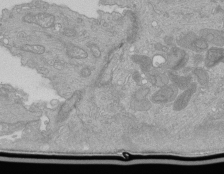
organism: Human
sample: Retinal organoid Rod and Cone cells